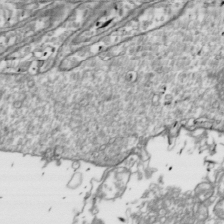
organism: Drosophila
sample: Cell division; meiosis; drosophila spermatocytes